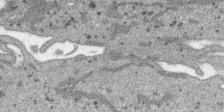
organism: Human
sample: Lung epithelial cells infected with SARS-CoV-2